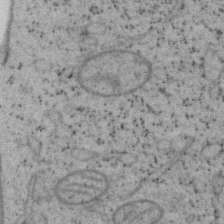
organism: Human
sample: HeLa cells